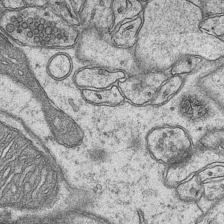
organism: Mouse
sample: CA1 Hippocampus